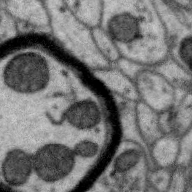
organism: Zebra finch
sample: Brain